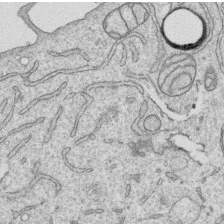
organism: Human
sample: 1205lu cells